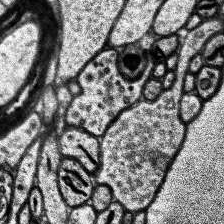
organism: Human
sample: Temporal Lobe